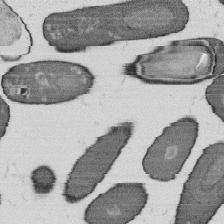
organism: B. subtilis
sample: Bacterial spore